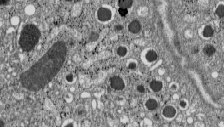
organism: C57BL Mouse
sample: Pancreatic islet